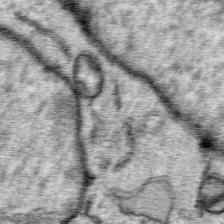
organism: Human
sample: HeLa cells